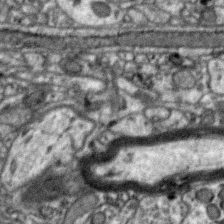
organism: Zebra finch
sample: Brain